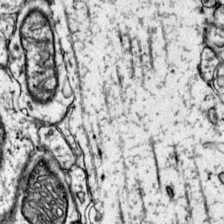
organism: Mouse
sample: Primary visual cortex